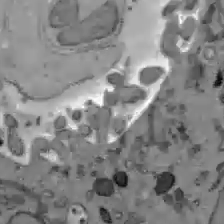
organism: C57BL Mouse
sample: Liver